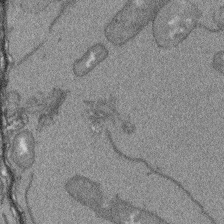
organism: Arabidopsis thaliana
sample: Root tip